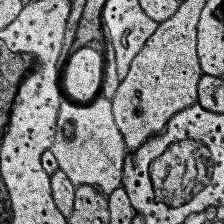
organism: Human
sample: Temporal Lobe